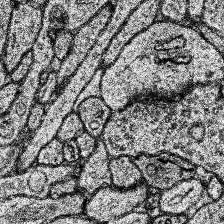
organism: Human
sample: Temporal Lobe